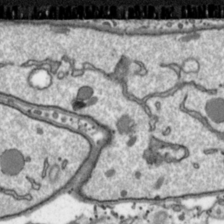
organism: Toxoplasma gondii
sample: Parasites in a vacuole inside a host cell